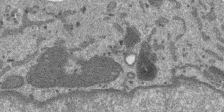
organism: Human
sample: Lung epithelial cells infected with SARS-CoV-2